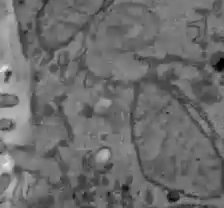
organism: C57BL Mouse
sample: Liver